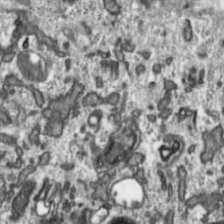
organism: Toxoplasma gondii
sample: Parasites in a vacuole inside a host cell